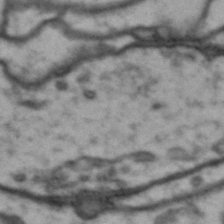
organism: Drosophila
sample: Brain